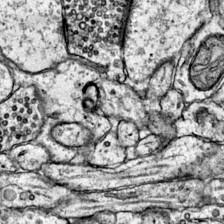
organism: Mouse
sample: Primary visual cortex